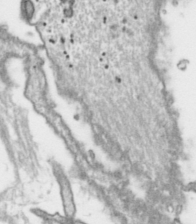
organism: Toxoplasma gondii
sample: Parasites in a vacuole inside a host cell